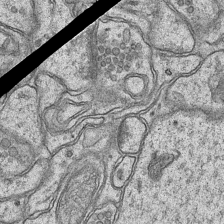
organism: Mouse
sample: CA1 Hippocampus